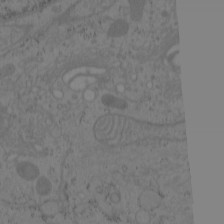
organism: Human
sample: HeLa cells